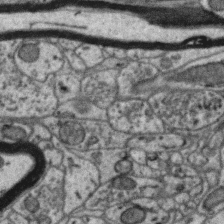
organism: Zebra finch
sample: Brain